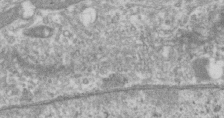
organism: Human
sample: Centriole in RPE cells